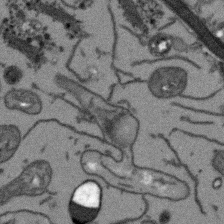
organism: Arabidopsis thaliana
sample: Root tip